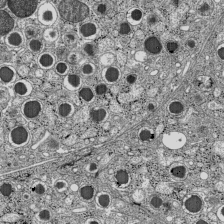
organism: C57BL Mouse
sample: Pancreatic islet